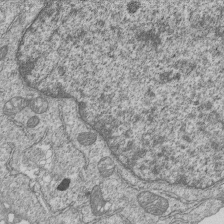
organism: Human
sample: MDA-MB-231 cells